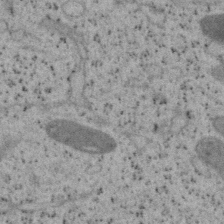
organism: Human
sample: HeLa cells